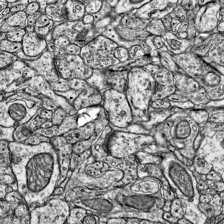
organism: Mouse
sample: Visual Cortex